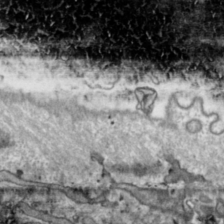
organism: Toxoplasma gondii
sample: Parasites in a vacuole inside a host cell